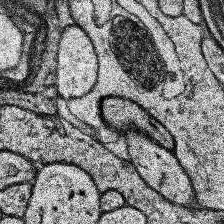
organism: Human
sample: Temporal Lobe